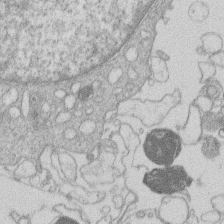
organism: Human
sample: Macrophage cells